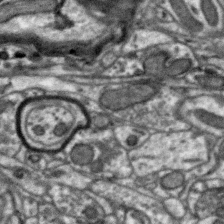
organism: Zebra finch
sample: Brain